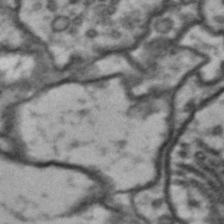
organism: Drosophila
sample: Brain